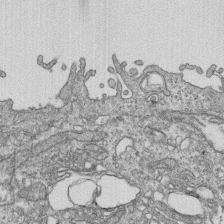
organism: Human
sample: HeLa cell HIV synapse